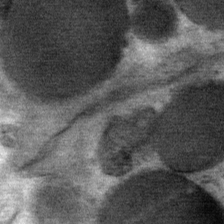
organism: Mouse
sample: Mouse Salivary gland